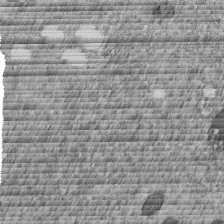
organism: C. elegans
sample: C. elegans embryo early stage